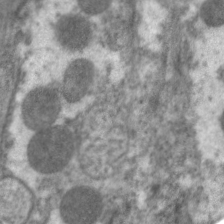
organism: C. elegans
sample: Pharynx